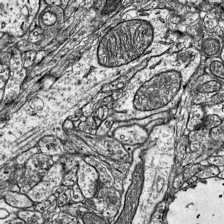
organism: Mouse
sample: Visual Cortex